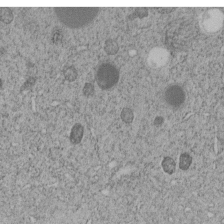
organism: C. elegans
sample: C. elegans embryo early stage